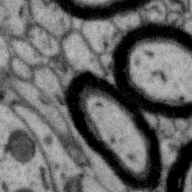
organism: Zebra finch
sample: Brain